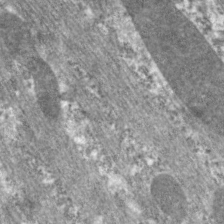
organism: C. elegans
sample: Pharynx